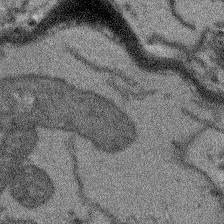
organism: Arabidopsis thaliana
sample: Root tip